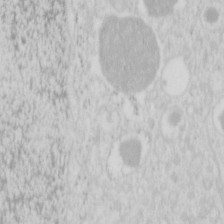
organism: Mouse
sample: Pancreas